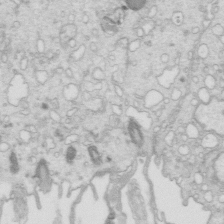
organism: Mouse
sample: Multiciliated cells